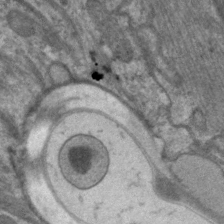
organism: C. elegans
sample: Pharynx